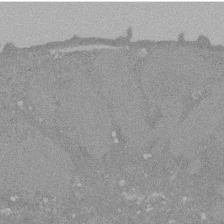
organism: Mouse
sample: ED-1 cell nuclei; centrioles